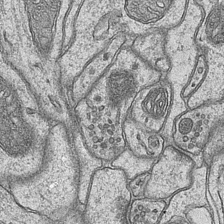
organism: Mouse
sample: CA1 Hippocampus